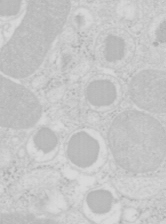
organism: Mouse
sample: Pancreas